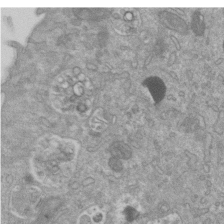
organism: Mouse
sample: ED-1 cell nuclei; centrioles